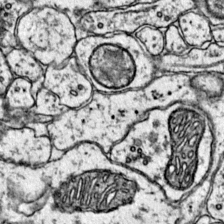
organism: Mouse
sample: Primary visual cortex